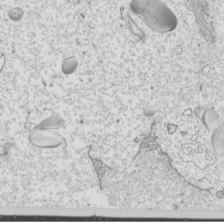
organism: Mouse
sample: Cilia; mouse epididymis